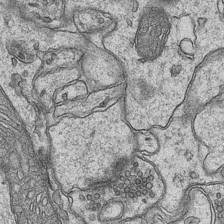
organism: Mouse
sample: CA1 Hippocampus